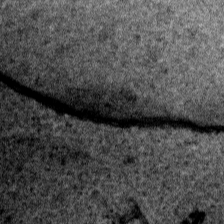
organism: Human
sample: Mitochondria in HCT116 cells